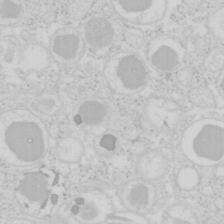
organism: Mouse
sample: Pancreas